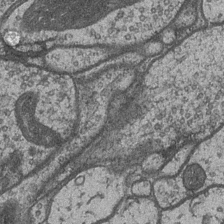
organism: Drosophila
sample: Optic medulla